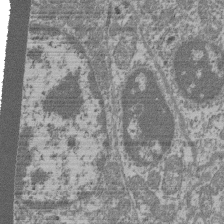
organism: Mouse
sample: Glomerulus